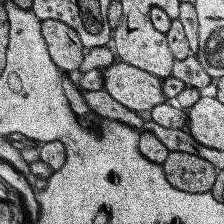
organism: Human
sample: Temporal Lobe